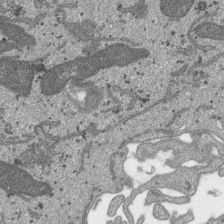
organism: Human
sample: Lung epithelial cells infected with SARS-CoV-2